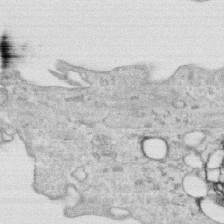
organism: Human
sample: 1205lu cells